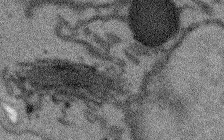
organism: Arabidopsis thaliana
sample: Root tip